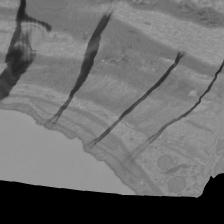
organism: Mouse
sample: Cortical neurons